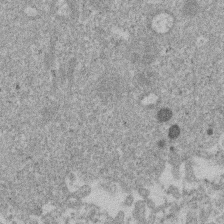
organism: Mouse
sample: Dividing mouse embryo 1 cell stage